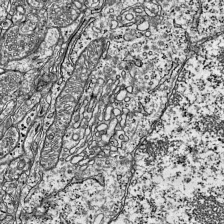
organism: Mouse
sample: Visual Cortex